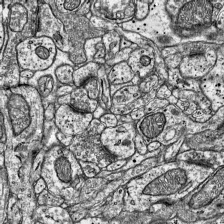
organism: Mouse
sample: Visual Cortex